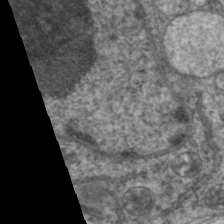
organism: C. elegans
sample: Pharynx